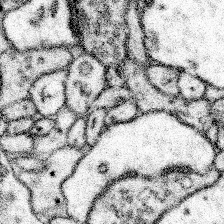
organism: Mouse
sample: Somatosensory cortex neuropil